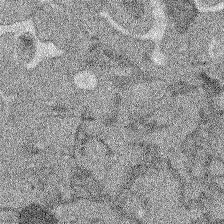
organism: Human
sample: HeLa cells